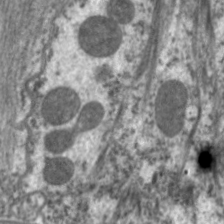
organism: C. elegans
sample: Pharynx